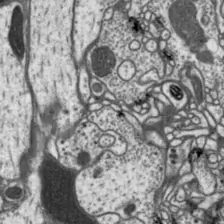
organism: Drosophila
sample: Protocerebral bridge